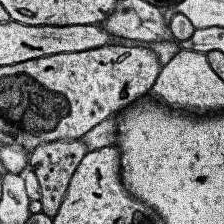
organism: Human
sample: Temporal Lobe